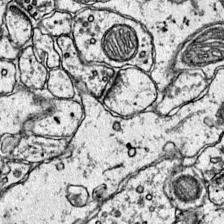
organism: Mouse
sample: Primary visual cortex